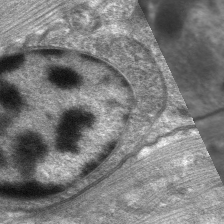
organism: C. elegans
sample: Pharynx